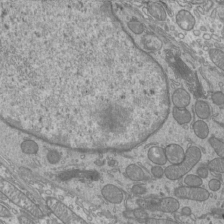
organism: Mouse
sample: Cilia; mouse epididymis